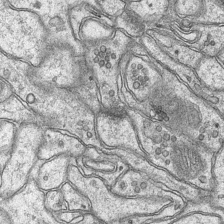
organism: Mouse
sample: CA1 Hippocampus